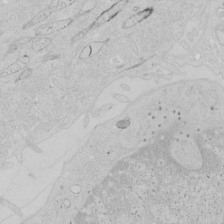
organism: Human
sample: Mitochondria in HCT116 cells